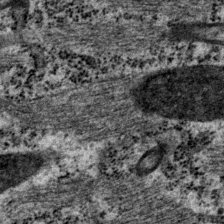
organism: P. pacificus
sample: Pharynx